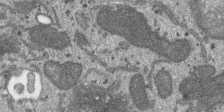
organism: Human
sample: Lung epithelial cells infected with SARS-CoV-2